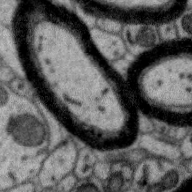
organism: Zebra finch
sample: Brain